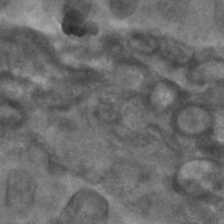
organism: C. elegans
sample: C. elegans embryo